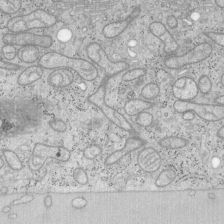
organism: Mouse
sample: OT-I killer T cells with ID8 ovarian cancer cells